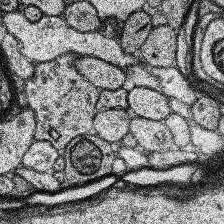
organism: Human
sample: Temporal Lobe